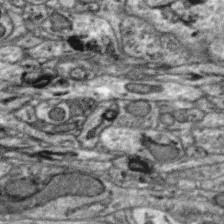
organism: Zebra finch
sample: Brain